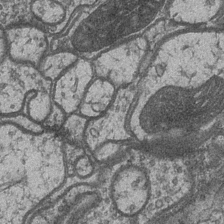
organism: Drosophila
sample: Optic medulla